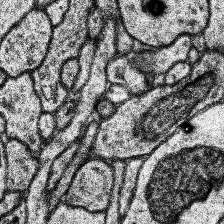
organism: Human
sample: Temporal Lobe